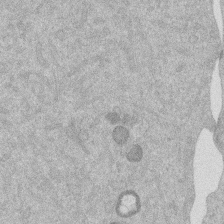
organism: Mouse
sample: Dividing mouse embryo 1 cell stage